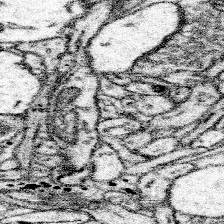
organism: Mouse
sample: Somatosensory cortex neuropil